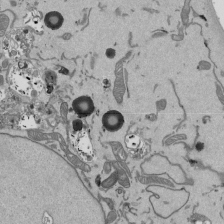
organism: Mouse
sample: ED-1 cell nuclei; centrioles